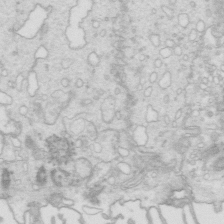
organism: Mouse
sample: Multiciliated cells